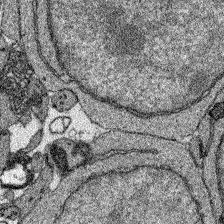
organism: Zebrafish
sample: Larval olfactory bulb